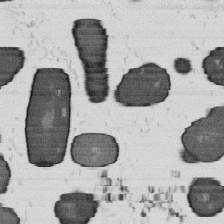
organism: B. subtilis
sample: Bacterial spore